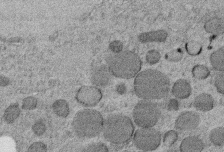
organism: C. elegans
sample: C. elegans embryo early stage